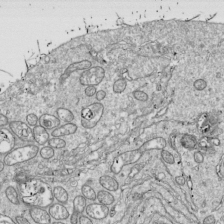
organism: Drosophila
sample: Cell division; meiosis; drosophila spermatocytes